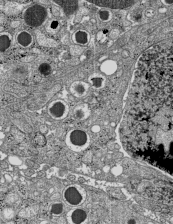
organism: C57BL Mouse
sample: Pancreatic islet